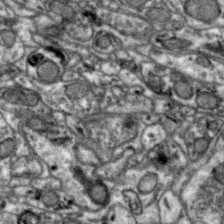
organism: Zebra finch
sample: Brain